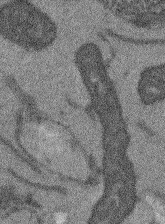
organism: Arabidopsis thaliana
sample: Root tip